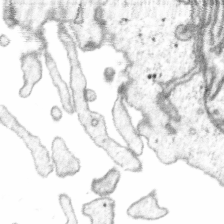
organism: Human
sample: HeLa cells